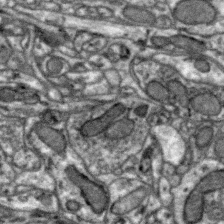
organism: Zebra finch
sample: Brain